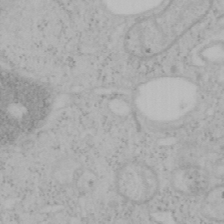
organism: Mouse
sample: OT-I killer T cells with ID8 ovarian cancer cells